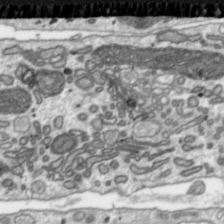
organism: Toxoplasma gondii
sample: Parasites in a vacuole inside a host cell